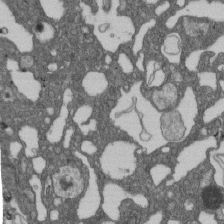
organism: Drosophila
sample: Nephrocyte